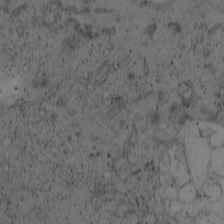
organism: African green monkey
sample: COS-7 cells